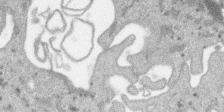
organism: Human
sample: Lung epithelial cells infected with SARS-CoV-2